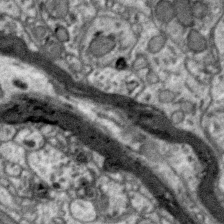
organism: Zebra finch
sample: Brain